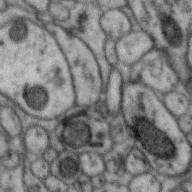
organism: Zebra finch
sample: Brain